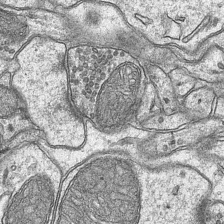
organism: Mouse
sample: CA1 Hippocampus